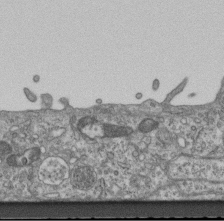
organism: Mouse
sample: Centriole in ependymal cells